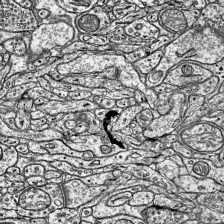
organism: Mouse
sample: Visual Cortex